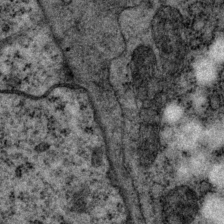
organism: P. pacificus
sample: Pharynx